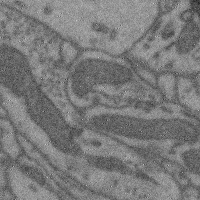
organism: Mouse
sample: Cerebral cortex